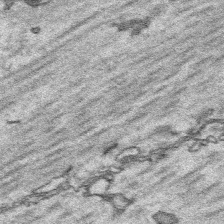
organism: Platynereis dumerilii